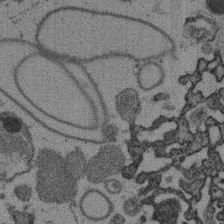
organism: Mouse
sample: Dividing mouse embryo 1 cell stage